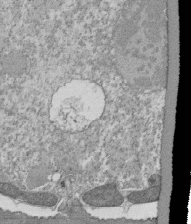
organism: Tetrahymena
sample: Cilia in tetrahymena